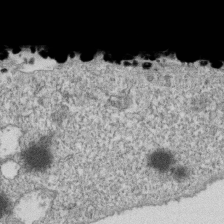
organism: Human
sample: HeLa cell HIV synapse